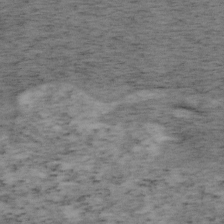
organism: Mouse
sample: OT-I killer T cells with ID8 ovarian cancer cells